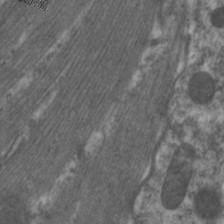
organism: C. elegans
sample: Pharynx